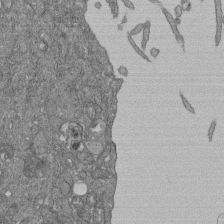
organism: Human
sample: Retinal organoid Rod and Cone cells